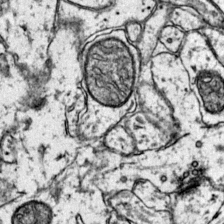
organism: Mouse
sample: Primary visual cortex